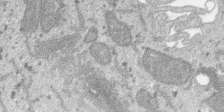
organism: Human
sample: Lung epithelial cells infected with SARS-CoV-2